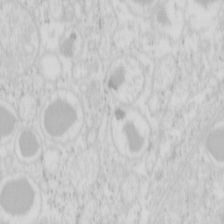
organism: Mouse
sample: Pancreas